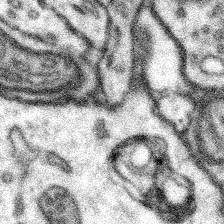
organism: Mouse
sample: Somatosensory cortex neuropil